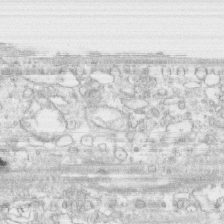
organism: Human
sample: CRL-1474